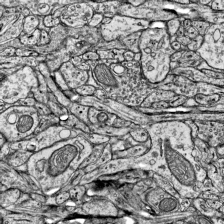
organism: Mouse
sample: Visual Cortex